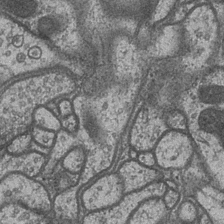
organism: Drosophila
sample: Optic medulla